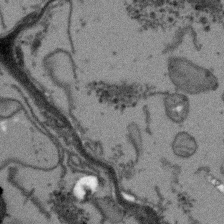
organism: Arabidopsis thaliana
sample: Root tip